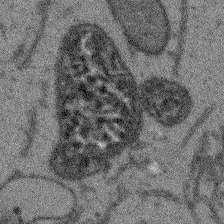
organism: Arabidopsis thaliana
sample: Root tip